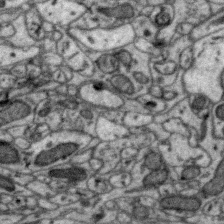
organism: Zebra finch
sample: Brain